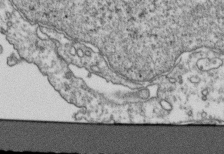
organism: Human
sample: Activated Jurkat CD4+ T cells